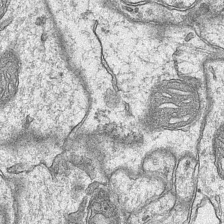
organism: Mouse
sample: CA1 Hippocampus